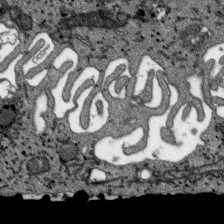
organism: Human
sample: Lung epithelial cells, uninfected (mock) control